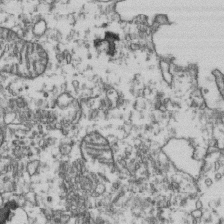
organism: Human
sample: Activated Jurkat CD4+ T cells